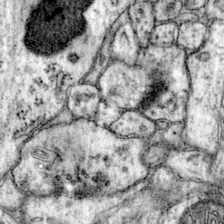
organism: Mouse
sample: Primary visual cortex